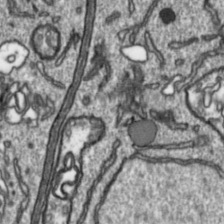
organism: Toxoplasma gondii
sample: Parasites in a vacuole inside a host cell